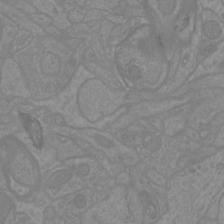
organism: Mouse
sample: Cortical neurons